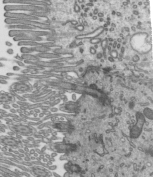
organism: Mouse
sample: Mouse epididymis efferent ductule cilia